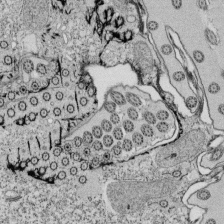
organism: Tetrahymena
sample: Cilia in tetrahymena